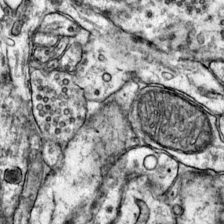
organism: Mouse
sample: Primary visual cortex